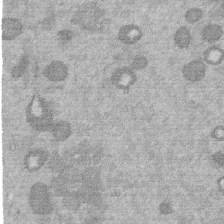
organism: Mouse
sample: Dividing mouse embryo 1 cell stage